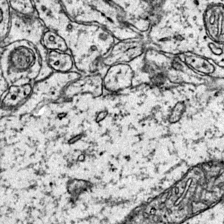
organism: Mouse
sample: Primary visual cortex